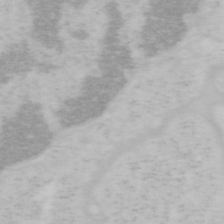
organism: Mouse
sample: OT-I killer T cells with ID8 ovarian cancer cells